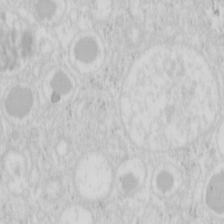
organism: Mouse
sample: Pancreas